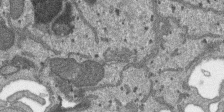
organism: Human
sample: Lung epithelial cells infected with SARS-CoV-2